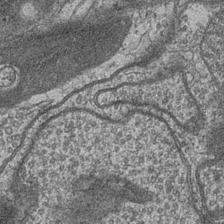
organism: Drosophila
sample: Optic medulla